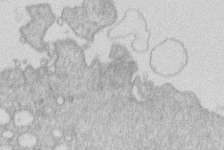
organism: Human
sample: Macrophage cells